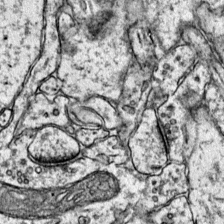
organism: Mouse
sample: Primary visual cortex